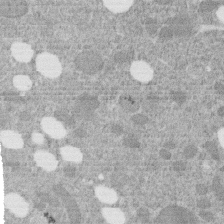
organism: C. elegans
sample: C. elegans embryo early stage